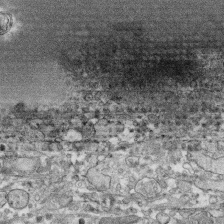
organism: Human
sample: CRL-1474